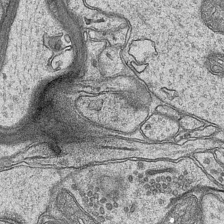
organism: Mouse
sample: CA1 Hippocampus